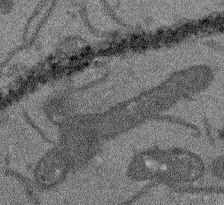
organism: Arabidopsis thaliana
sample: Root tip